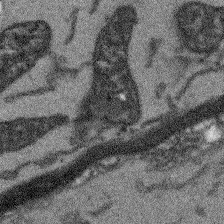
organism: Arabidopsis thaliana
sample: Root tip